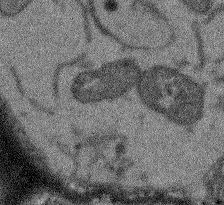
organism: Arabidopsis thaliana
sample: Root tip